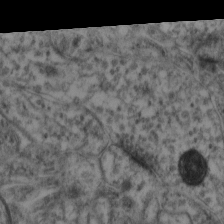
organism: Mouse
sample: Neocortex